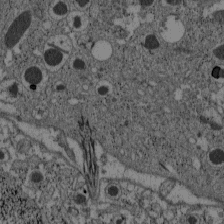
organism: C57BL Mouse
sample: Pancreatic islet